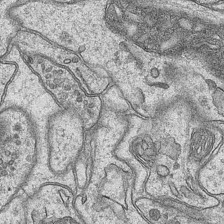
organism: Mouse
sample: CA1 Hippocampus